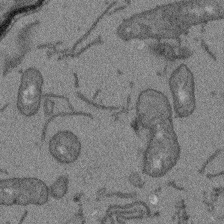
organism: Arabidopsis thaliana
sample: Root tip